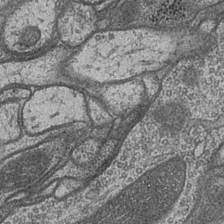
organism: Drosophila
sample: Optic medulla